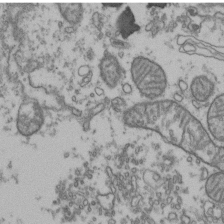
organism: Human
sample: Activated Jurkat CD4+ T cells